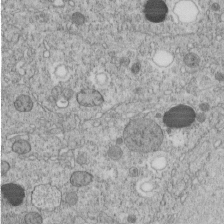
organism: C. elegans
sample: C. elegans embryo early stage